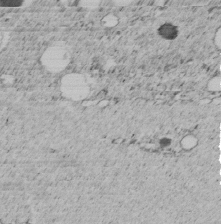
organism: C. elegans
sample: C. elegans embryo early stage